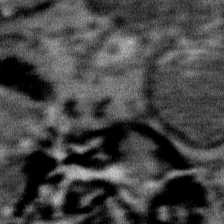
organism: Mouse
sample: Mouse Salivary gland